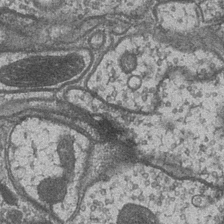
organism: Drosophila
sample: Optic medulla